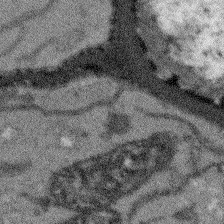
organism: Arabidopsis thaliana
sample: Root tip